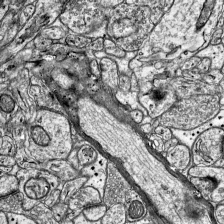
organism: Mouse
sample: Visual Cortex